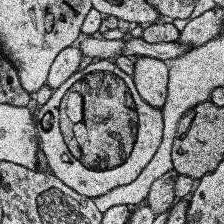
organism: Human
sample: Temporal Lobe